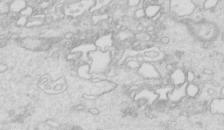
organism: Mouse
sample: Multiciliated cells